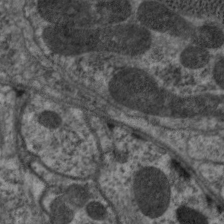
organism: C. elegans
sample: Pharynx